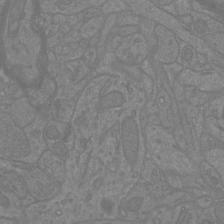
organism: Mouse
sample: Cortical neurons